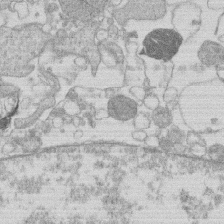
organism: Human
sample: Macrophage cells